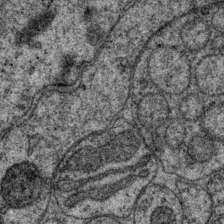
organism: P. pacificus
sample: Pharynx